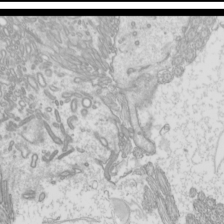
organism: Mouse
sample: Cilia; mouse epididymis